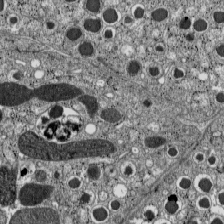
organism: C57BL Mouse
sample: Pancreatic islet